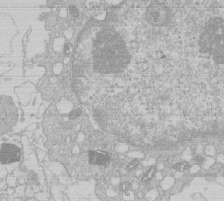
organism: Human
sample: Macrophage cells